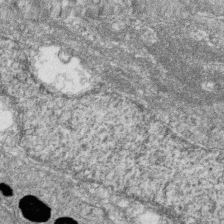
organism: Zebrafish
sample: Cilia; retinal pigment epithelium